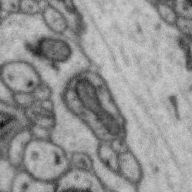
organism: Zebra finch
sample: Brain